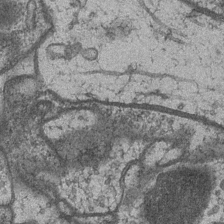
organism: Drosophila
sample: Optic medulla